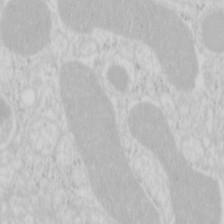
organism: Mouse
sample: Pancreas